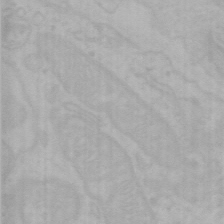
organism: Mouse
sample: Choroid plexus